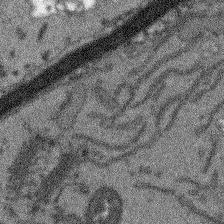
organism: Arabidopsis thaliana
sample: Root tip